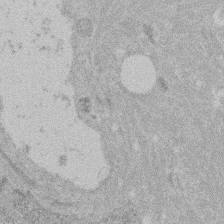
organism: Mouse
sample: Dividing mouse embryo 1 cell stage